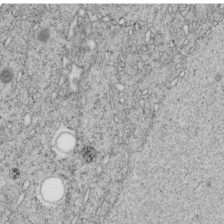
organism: C. elegans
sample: C. elegans embryo early stage